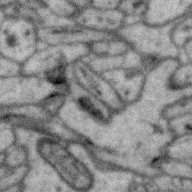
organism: Zebra finch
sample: Brain